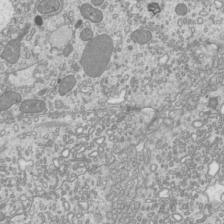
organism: Mouse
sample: Cilia; mouse epididymis